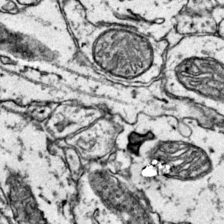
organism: Mouse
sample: Primary visual cortex